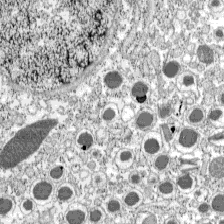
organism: C57BL Mouse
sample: Pancreatic islet